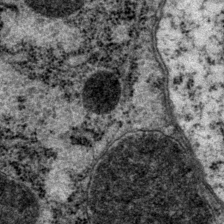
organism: P. pacificus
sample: Pharynx